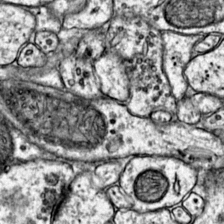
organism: Mouse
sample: Primary visual cortex